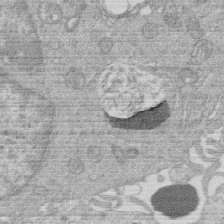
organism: Human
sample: Macrophage cells